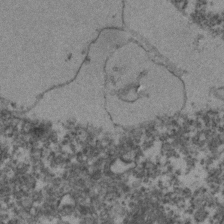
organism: Zebrafish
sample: Zebrafish embryo